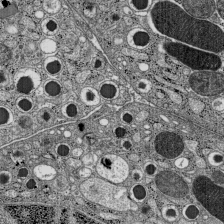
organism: C57BL Mouse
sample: Pancreatic islet